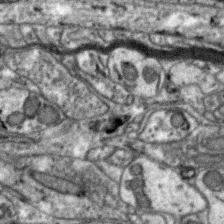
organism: Zebra finch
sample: Brain